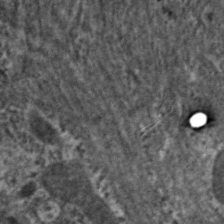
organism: C. elegans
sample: Pharynx